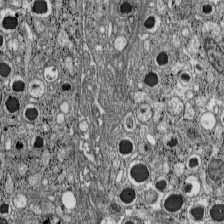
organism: C57BL Mouse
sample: Pancreatic islet